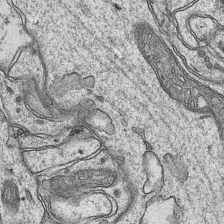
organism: Mouse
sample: CA1 Hippocampus